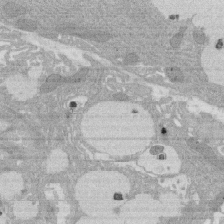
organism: Rat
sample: Salivary granule